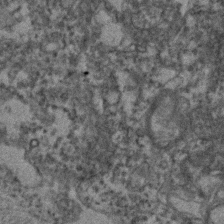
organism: Zebrafish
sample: Zebrafish embryo